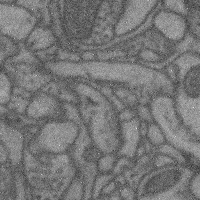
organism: Mouse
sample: Cerebral cortex